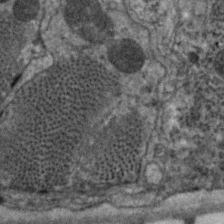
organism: C. elegans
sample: Pharynx